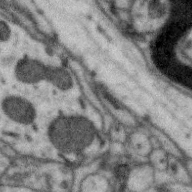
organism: Zebra finch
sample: Brain